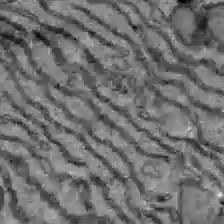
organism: C57BL Mouse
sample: Liver